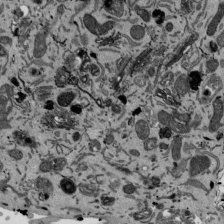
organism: Mouse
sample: ED-1 cell nuclei; centrioles